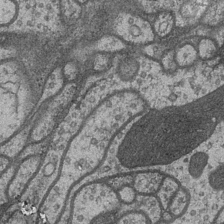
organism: Drosophila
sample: Optic medulla